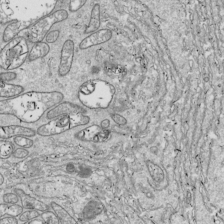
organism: Drosophila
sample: Cell division; meiosis; drosophila spermatocytes